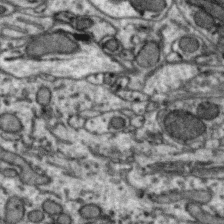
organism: Zebra finch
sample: Brain